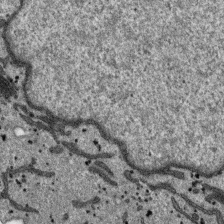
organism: Human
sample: Lung epithelial cells, uninfected (mock) control